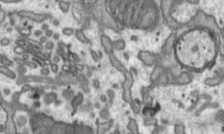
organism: Toxoplasma gondii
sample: Parasites in a vacuole inside a host cell